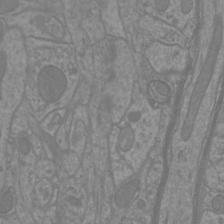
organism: Mouse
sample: Cortical neurons